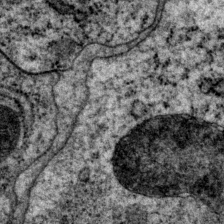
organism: P. pacificus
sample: Pharynx